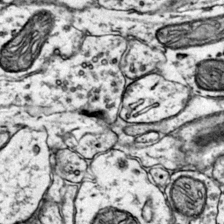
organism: Mouse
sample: Primary visual cortex